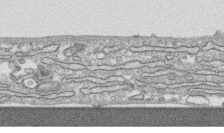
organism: Human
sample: CRL-1474